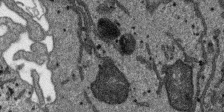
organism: Human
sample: Lung epithelial cells infected with SARS-CoV-2